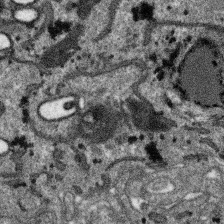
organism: Human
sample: Lung epithelial cells infected with SARS-CoV-2